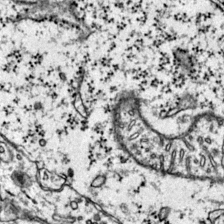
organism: Mouse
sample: Primary visual cortex